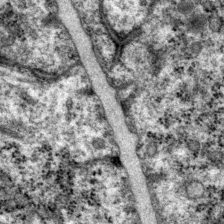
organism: P. pacificus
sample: Pharynx